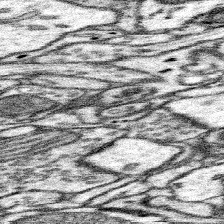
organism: Mouse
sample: Somatosensory cortex neuropil